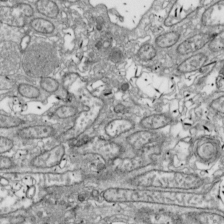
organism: Drosophila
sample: Cell division; meiosis; drosophila spermatocytes